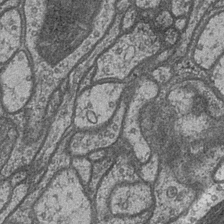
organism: Drosophila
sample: Optic medulla